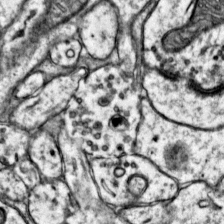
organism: Mouse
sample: Primary visual cortex